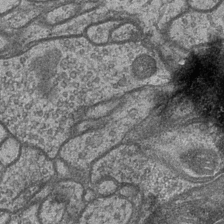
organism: Drosophila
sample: Optic medulla